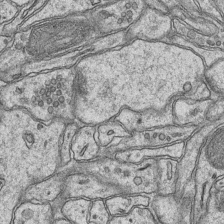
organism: Mouse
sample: CA1 Hippocampus